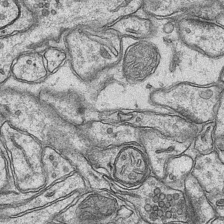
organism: Mouse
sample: CA1 Hippocampus